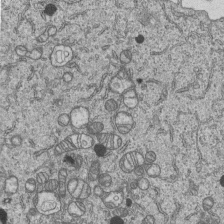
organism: Human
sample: MDA-MB-231 cells